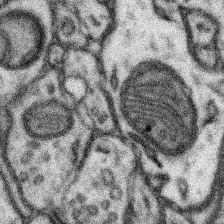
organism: Mouse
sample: Somatosensory cortex neuropil